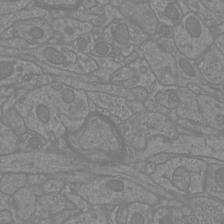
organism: Mouse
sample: Cortical neurons